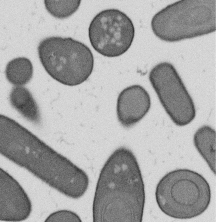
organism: B. subtilis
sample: Bacterial spore